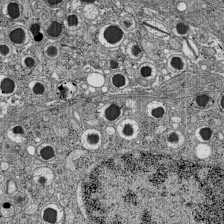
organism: C57BL Mouse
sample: Pancreatic islet